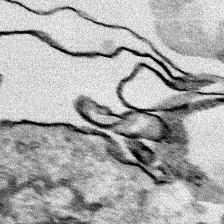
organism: Human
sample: Mitochondria in HCT116 cells